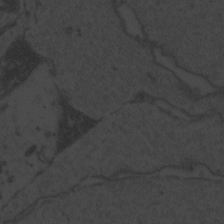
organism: Zebrafish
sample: Macrophage infected with Toxoplasma gondii